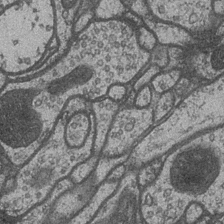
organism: Drosophila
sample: Optic medulla